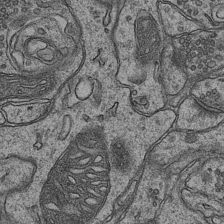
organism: Mouse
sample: CA1 Hippocampus